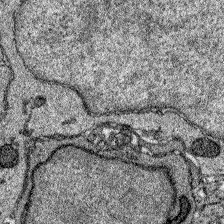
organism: Zebrafish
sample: Larval olfactory bulb